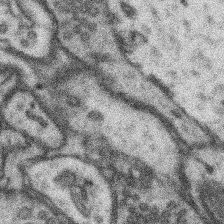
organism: Mouse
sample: Somatosensory cortex neuropil